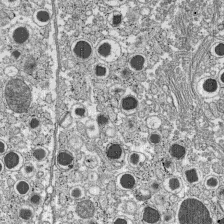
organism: C57BL Mouse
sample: Pancreatic islet